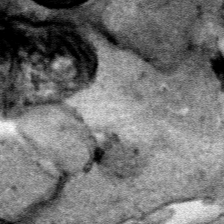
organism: Human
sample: Mitochondria in HCT116 cells